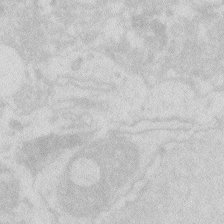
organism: Zebrafish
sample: Macrophage